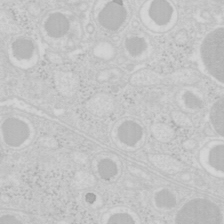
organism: Mouse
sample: Pancreas